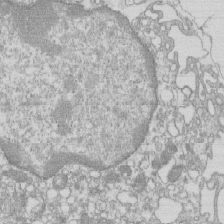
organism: Mouse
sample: Macrophages